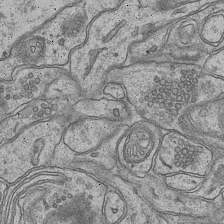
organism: Mouse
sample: CA1 Hippocampus